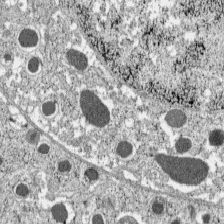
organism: C57BL Mouse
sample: Pancreatic islet